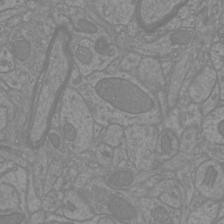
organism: Mouse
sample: Cortical neurons